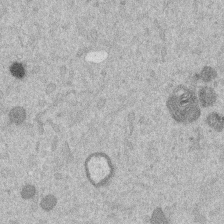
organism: Mouse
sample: Dividing mouse embryo 1 cell stage